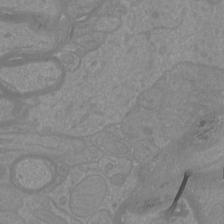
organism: Mouse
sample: Cortical neurons